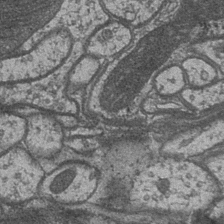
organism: Drosophila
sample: Optic medulla